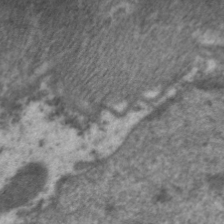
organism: C. elegans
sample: Pharynx